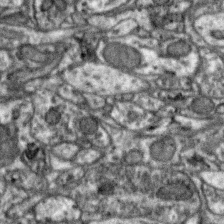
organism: Zebra finch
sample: Brain